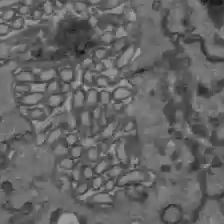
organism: C57BL Mouse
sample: Liver